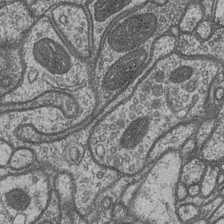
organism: Drosophila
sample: Optic medulla